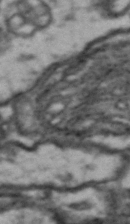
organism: Drosophila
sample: Brain